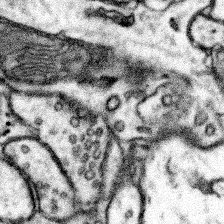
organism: Mouse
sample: Somatosensory cortex neuropil